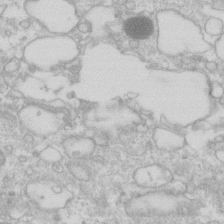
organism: Human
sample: Fibroblast cells